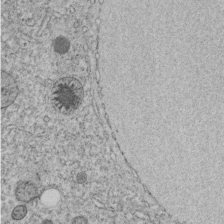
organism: C. elegans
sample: C. elegans embryo early stage